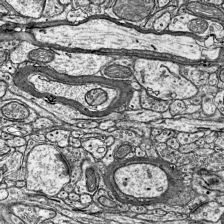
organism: Mouse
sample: Visual Cortex